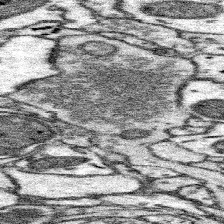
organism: Mouse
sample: Somatosensory cortex neuropil